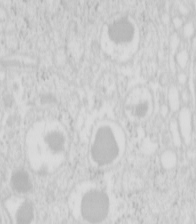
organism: Mouse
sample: Pancreas